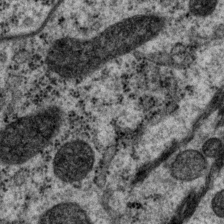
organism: P. pacificus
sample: Pharynx